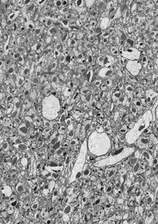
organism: Drosophila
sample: Optic lobe